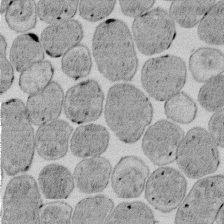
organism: E. coli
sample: Bacterial nucleoid